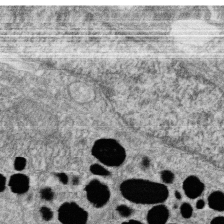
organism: Zebrafish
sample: Cilia; retinal pigment epithelium